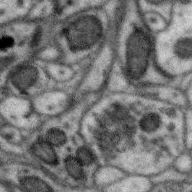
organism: Zebra finch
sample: Brain